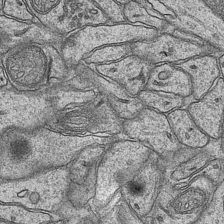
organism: Mouse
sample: CA1 Hippocampus